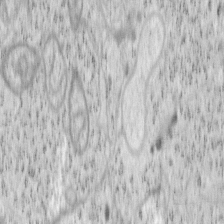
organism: Human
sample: HeLa cells